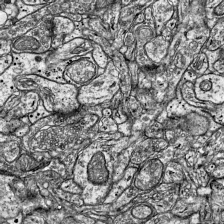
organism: Mouse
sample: Visual Cortex